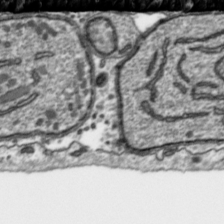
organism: Toxoplasma gondii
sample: Parasites in a vacuole inside a host cell